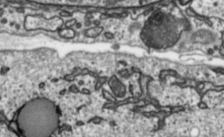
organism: Toxoplasma gondii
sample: Parasites in a vacuole inside a host cell